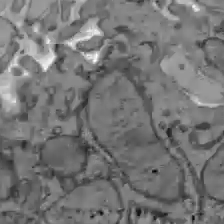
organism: C57BL Mouse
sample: Liver